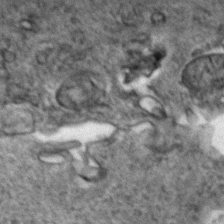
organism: Zebrafish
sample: Zebrafish embryo